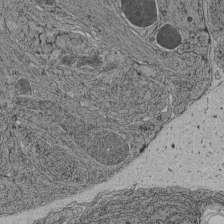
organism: C. elegans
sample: C. elegans pharynx